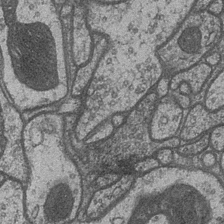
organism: Drosophila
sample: Optic medulla